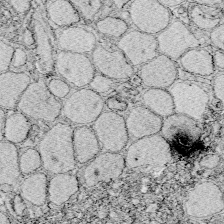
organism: Zebrafish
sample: Whole-Brain